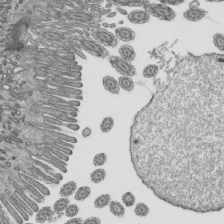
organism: Mouse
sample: Mouse epididymis efferent ductule cilia